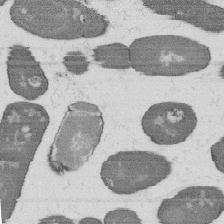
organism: B. subtilis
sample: Bacterial spore